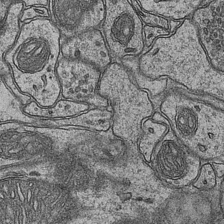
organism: Mouse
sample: CA1 Hippocampus